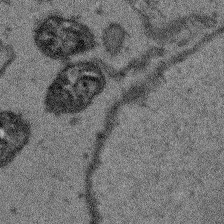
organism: Arabidopsis thaliana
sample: Root tip